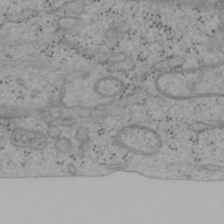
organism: Human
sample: HeLa cells